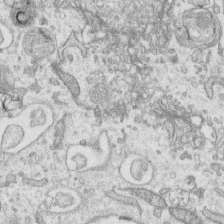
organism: Human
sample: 1205lu cells